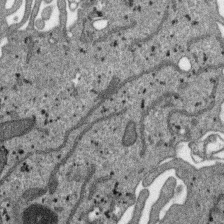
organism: Human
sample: Lung epithelial cells infected with SARS-CoV-2